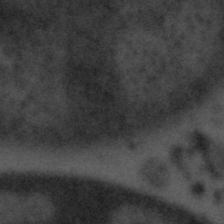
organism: Tuwongella immobilis